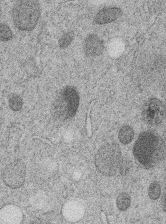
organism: C. elegans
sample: C. elegans embryo early stage